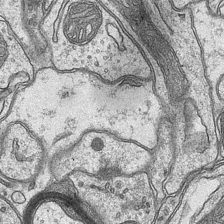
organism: Mouse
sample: CA1 Hippocampus